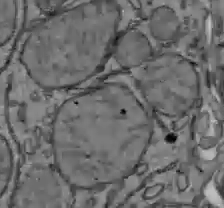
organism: C57BL Mouse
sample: Liver